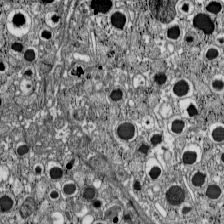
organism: C57BL Mouse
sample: Pancreatic islet